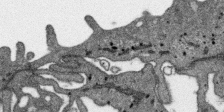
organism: Human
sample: Lung epithelial cells, uninfected (mock) control